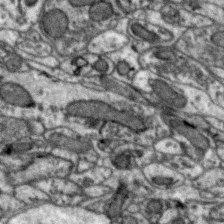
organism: Zebra finch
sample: Brain